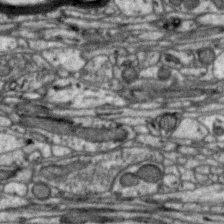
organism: Zebra finch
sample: Brain